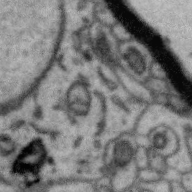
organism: Zebra finch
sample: Brain